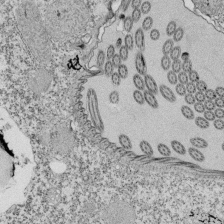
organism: Tetrahymena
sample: Cilia in tetrahymena